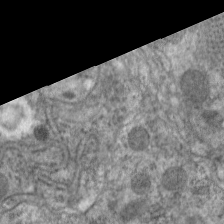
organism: C. elegans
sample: Pharynx